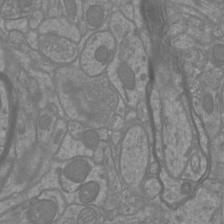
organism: Mouse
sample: Cortical neurons